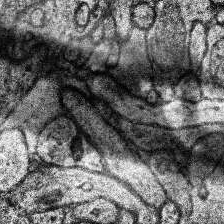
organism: Human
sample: Temporal Lobe